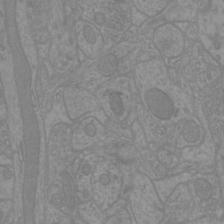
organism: Mouse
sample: Cortical neurons